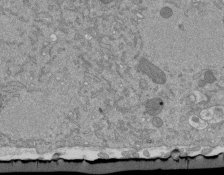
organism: Mouse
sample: ED-1 cell nuclei; centrioles